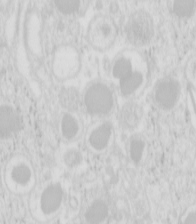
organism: Mouse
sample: Pancreas